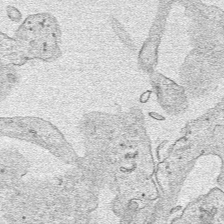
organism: Human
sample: Mitochondria in HCT116 cells